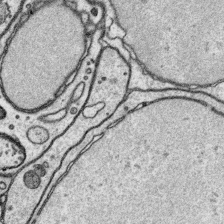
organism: Platynereis dumerilii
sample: Parapodia